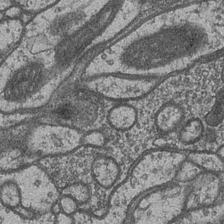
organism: Drosophila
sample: Optic medulla